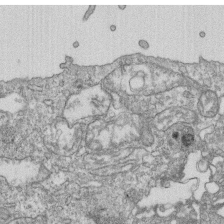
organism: Human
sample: HeLa cell HIV synapse